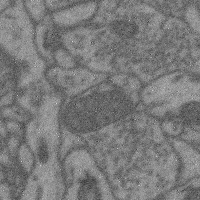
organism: Mouse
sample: Cerebral cortex